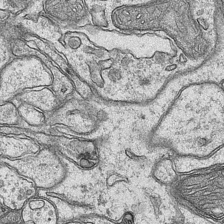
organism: Mouse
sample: CA1 Hippocampus